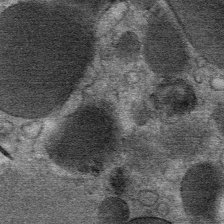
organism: Mouse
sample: Mouse Salivary gland